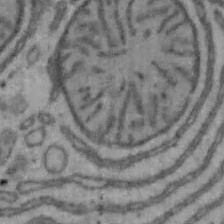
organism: Mouse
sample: Liver